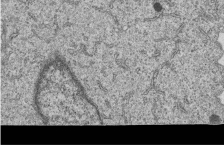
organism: Human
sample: MDA-MB-231 cells